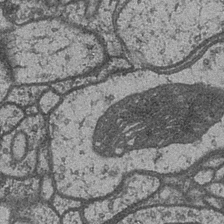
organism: Drosophila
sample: Optic medulla